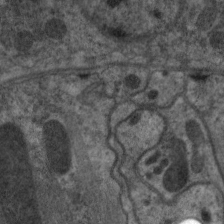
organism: C. elegans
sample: Pharynx